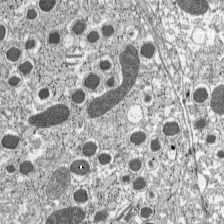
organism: C57BL Mouse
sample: Pancreatic islet